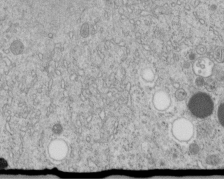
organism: C. elegans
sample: C. elegans embryo early stage